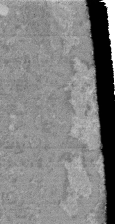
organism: Mouse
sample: Glomerulus